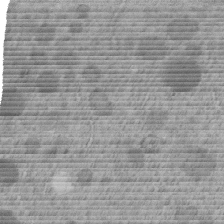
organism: C. elegans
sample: C. elegans embryo early stage